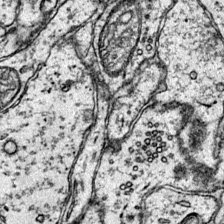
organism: Mouse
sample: Primary visual cortex